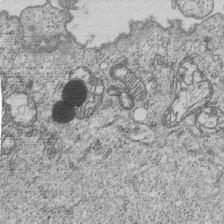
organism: Human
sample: MDA-MB-231 cells